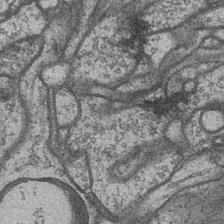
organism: Drosophila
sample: Optic medulla